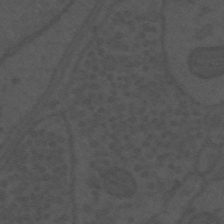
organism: Mouse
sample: Suprachiasmatic nucleus